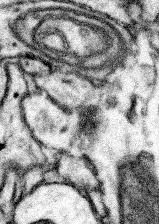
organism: Mouse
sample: Somatosensory cortex neuropil